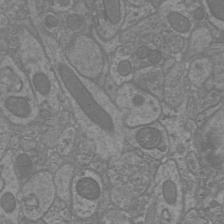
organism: Mouse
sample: Cortical neurons